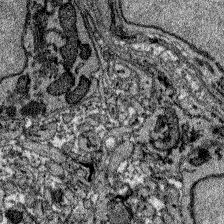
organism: Zebrafish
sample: Larval olfactory bulb